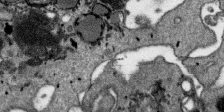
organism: Human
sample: Lung epithelial cells, uninfected (mock) control